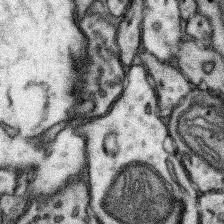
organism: Mouse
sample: Somatosensory cortex neuropil